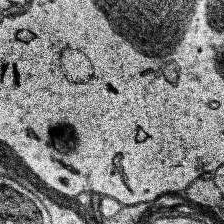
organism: Human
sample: Temporal Lobe